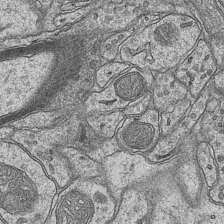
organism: Mouse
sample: CA1 Hippocampus